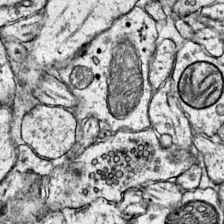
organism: Mouse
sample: Primary visual cortex